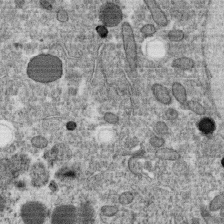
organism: C. elegans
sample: C. elegans oocyte; sperm cells